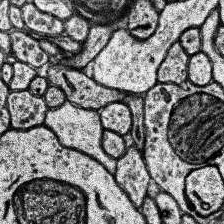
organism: Human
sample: Temporal Lobe